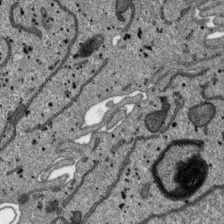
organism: Human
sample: Lung epithelial cells, uninfected (mock) control